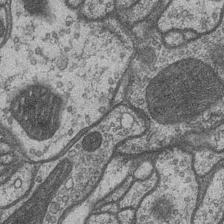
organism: Drosophila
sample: Optic medulla